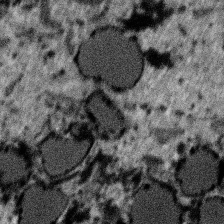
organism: Human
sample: Lung epithelial cells infected with SARS-CoV-2